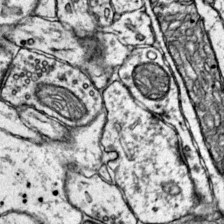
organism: Mouse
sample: Primary visual cortex